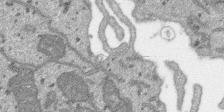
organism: Human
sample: Lung epithelial cells infected with SARS-CoV-2